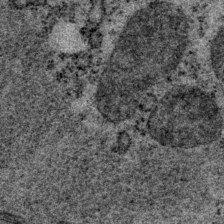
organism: P. pacificus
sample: Pharynx